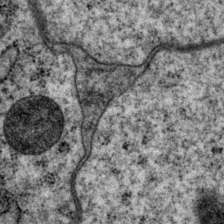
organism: P. pacificus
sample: Pharynx